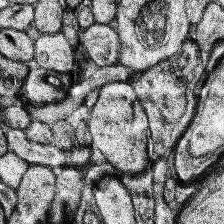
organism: Human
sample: Temporal Lobe